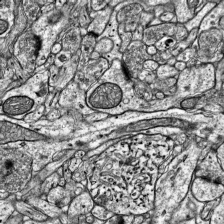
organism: Mouse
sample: Visual Cortex